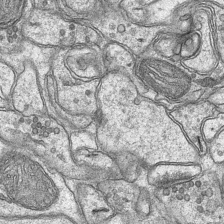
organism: Mouse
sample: CA1 Hippocampus